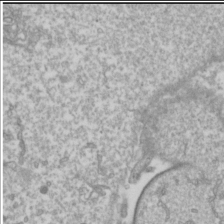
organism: Drosophila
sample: Cell division; meiosis; drosophila spermatocytes